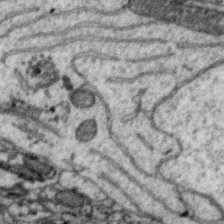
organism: Zebra finch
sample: Brain